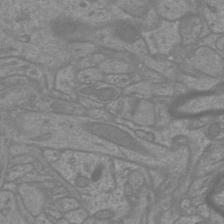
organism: Mouse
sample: Cortical neurons